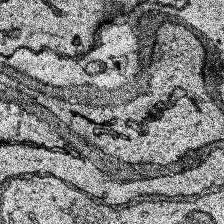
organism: Human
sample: Temporal Lobe